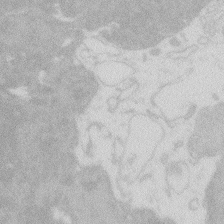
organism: Zebrafish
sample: Macrophage